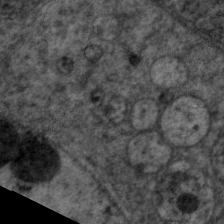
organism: C. elegans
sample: Pharynx